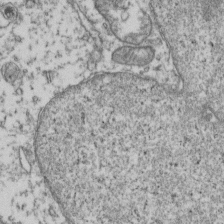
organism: Human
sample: Activated Jurkat CD4+ T cells